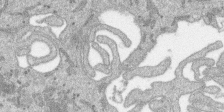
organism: Human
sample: Lung epithelial cells infected with SARS-CoV-2